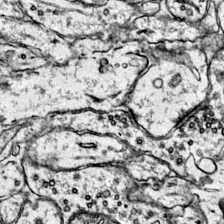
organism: Mouse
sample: Primary visual cortex